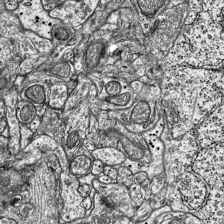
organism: Mouse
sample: Visual Cortex